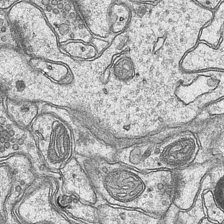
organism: Mouse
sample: CA1 Hippocampus